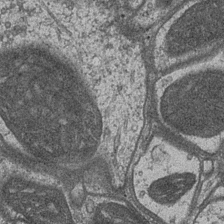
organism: Drosophila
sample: Optic medulla